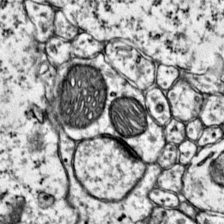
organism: Mouse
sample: Primary visual cortex